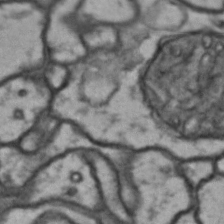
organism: Drosophila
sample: Brain